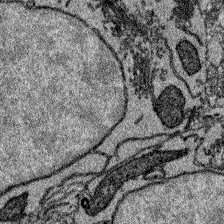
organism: Zebrafish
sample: Larval olfactory bulb